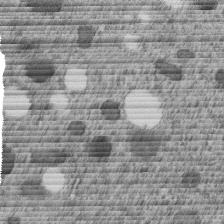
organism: C. elegans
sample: C. elegans embryo early stage